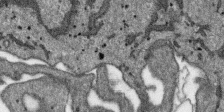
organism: Human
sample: Lung epithelial cells, uninfected (mock) control